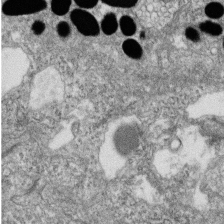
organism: Zebrafish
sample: Cilia; retinal pigment epithelium